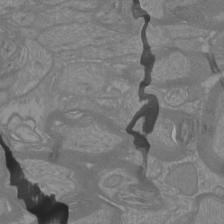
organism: Mouse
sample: Cortical neurons